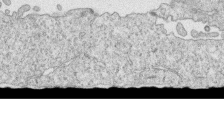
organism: Human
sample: HeLa cell HIV synapse